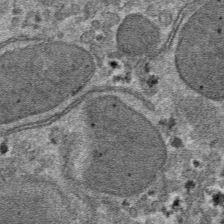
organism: Mouse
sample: Mouse hepatocytes